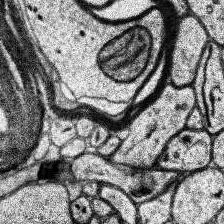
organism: Human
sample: Temporal Lobe